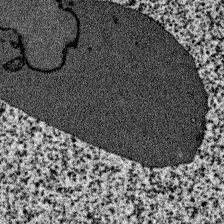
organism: Zebrafish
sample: Larval olfactory bulb